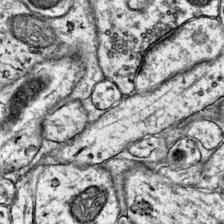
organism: Mouse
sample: Primary visual cortex